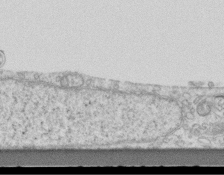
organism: Mouse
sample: Centriole in ependymal cells